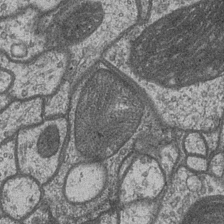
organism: Drosophila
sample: Optic medulla